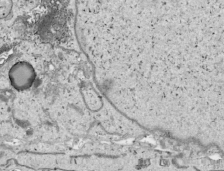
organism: Human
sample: Mitochondria in HCT116 cells